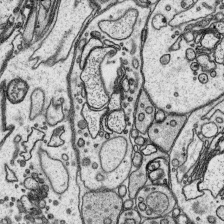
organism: Platynereis dumerilii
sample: Parapodia